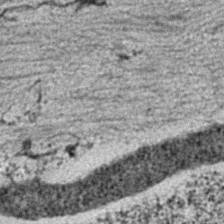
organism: C. elegans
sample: C. elegans embryo